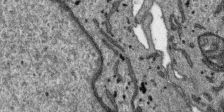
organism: Human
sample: Lung epithelial cells, uninfected (mock) control